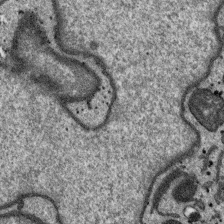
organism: Human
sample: Lung epithelial cells, uninfected (mock) control